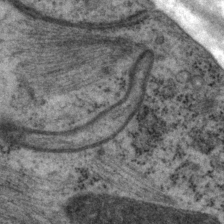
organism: P. pacificus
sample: Pharynx